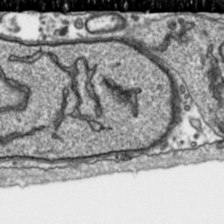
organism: Toxoplasma gondii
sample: Parasites in a vacuole inside a host cell